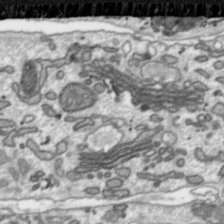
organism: Toxoplasma gondii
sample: Parasites in a vacuole inside a host cell